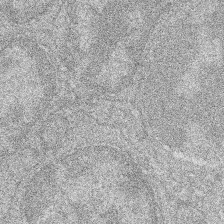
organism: Zebrafish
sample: Cilia; retinal pigment epithelium